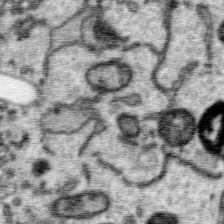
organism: Human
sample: HeLa cells